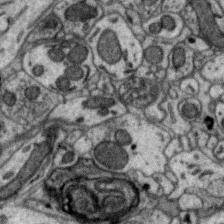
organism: Zebra finch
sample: Brain